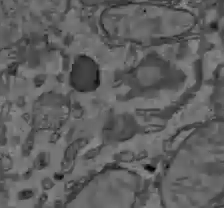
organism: C57BL Mouse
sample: Liver